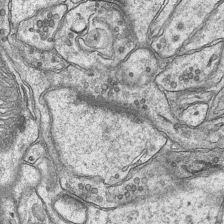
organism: Mouse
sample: CA1 Hippocampus